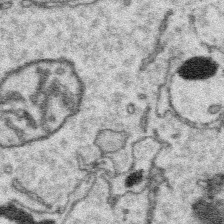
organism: Platynereis dumerilii